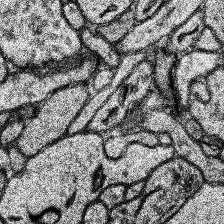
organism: Human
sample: Temporal Lobe